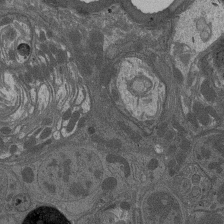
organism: Drosophila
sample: Antenna